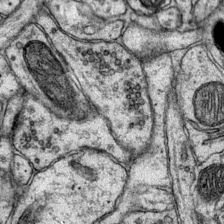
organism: Mouse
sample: Primary visual cortex